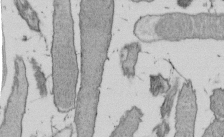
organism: E. coli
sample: Bacterial nucleoid